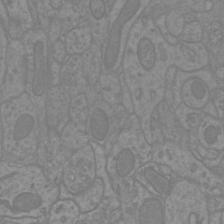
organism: Mouse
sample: Cortical neurons